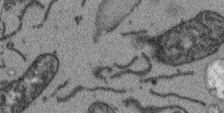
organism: Arabidopsis thaliana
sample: Root tip